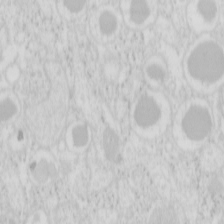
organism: Mouse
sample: Pancreas